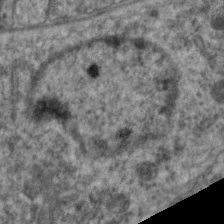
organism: C. elegans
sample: Pharynx